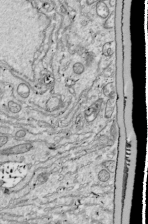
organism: Drosophila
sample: Cell division; meiosis; drosophila spermatocytes